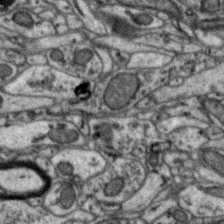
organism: Zebra finch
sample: Brain